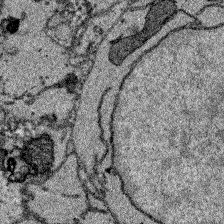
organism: Zebrafish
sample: Larval olfactory bulb